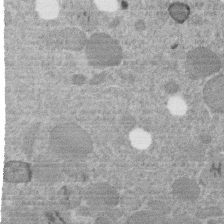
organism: C. elegans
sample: C. elegans embryo early stage